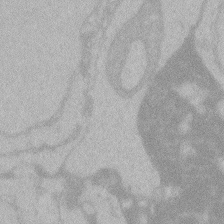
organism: Zebrafish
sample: Macrophage infected with Toxoplasma gondii